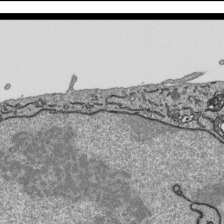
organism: Human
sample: Mitochondria in HCT116 cells